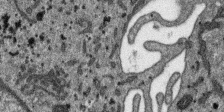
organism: Human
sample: Lung epithelial cells infected with SARS-CoV-2